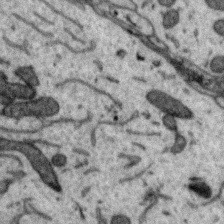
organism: Zebra finch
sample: Brain